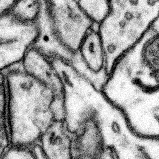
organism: Mouse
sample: Somatosensory cortex neuropil